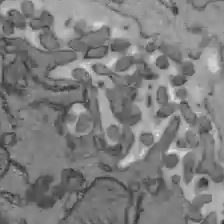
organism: C57BL Mouse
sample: Liver